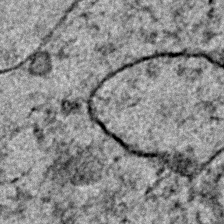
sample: Trachea